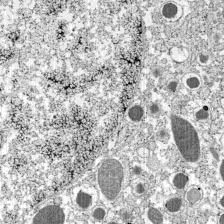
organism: C57BL Mouse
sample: Pancreatic islet